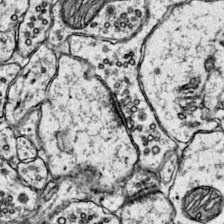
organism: Mouse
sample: Primary visual cortex